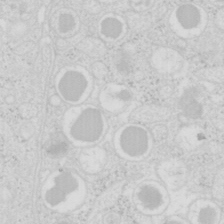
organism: Mouse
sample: Pancreas